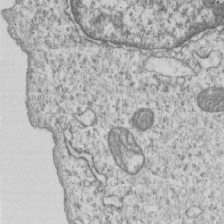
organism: Human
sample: MDA-MB-231 cells